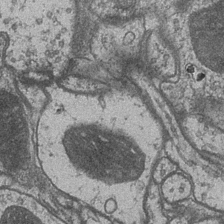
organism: Drosophila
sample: Optic medulla